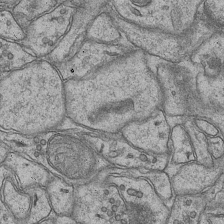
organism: Mouse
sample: CA1 Hippocampus